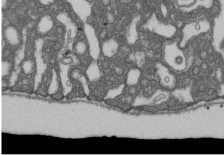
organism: Drosophila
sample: Nephrocyte